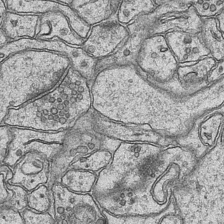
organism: Mouse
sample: CA1 Hippocampus